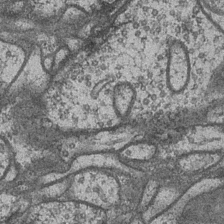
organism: Drosophila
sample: Optic medulla